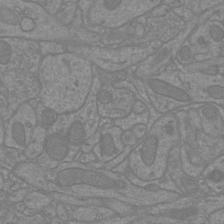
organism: Mouse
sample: Cortical neurons